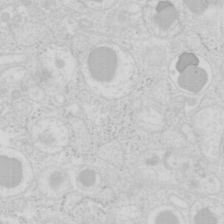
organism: Mouse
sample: Pancreas